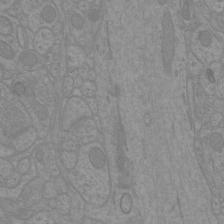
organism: Mouse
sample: Cortical neurons